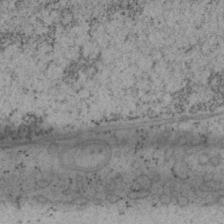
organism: Human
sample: HeLa cells